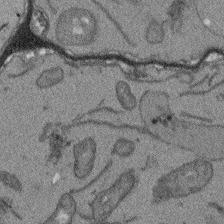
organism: Arabidopsis thaliana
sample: Root tip